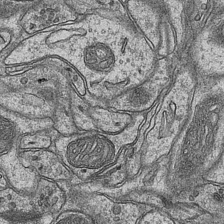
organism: Mouse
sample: CA1 Hippocampus